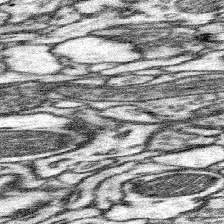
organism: Mouse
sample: Somatosensory cortex neuropil